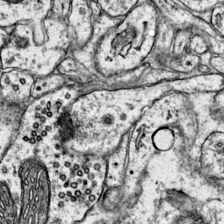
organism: Mouse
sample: Primary visual cortex